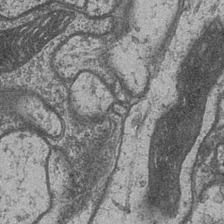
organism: Drosophila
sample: Optic medulla